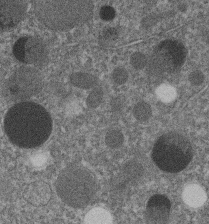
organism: C. elegans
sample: C. elegans embryo early stage